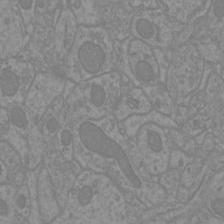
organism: Mouse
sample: Cortical neurons